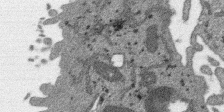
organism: Human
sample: Lung epithelial cells infected with SARS-CoV-2